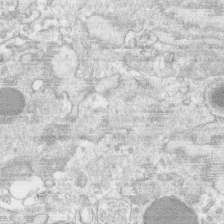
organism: Human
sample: CRL-1474